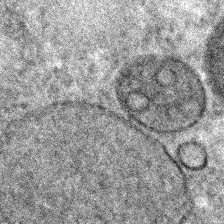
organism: C. elegans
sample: C. elegans embryo